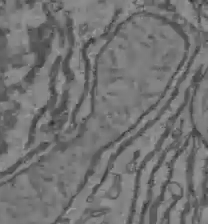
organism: C57BL Mouse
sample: Liver